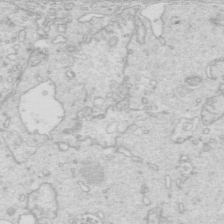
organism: Mouse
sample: Multiciliated cells